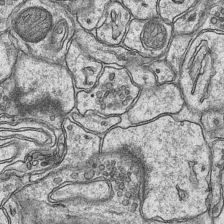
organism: Mouse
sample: CA1 Hippocampus